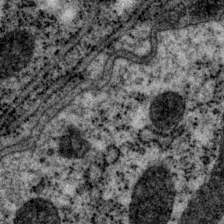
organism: P. pacificus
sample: Pharynx